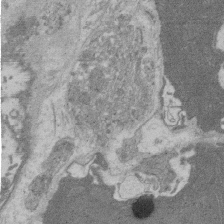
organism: Rat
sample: Salivary granule